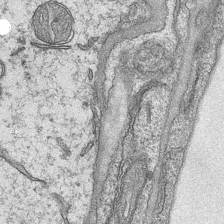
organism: Mouse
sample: CA1 Hippocampus